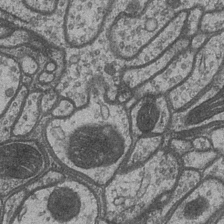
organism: Drosophila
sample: Optic medulla